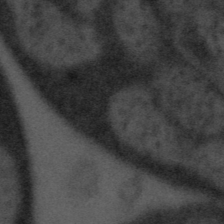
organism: Tuwongella immobilis